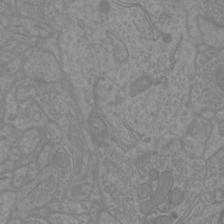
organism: Mouse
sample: Cortical neurons